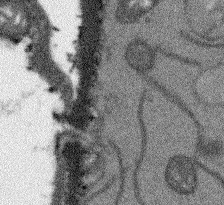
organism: Arabidopsis thaliana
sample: Root tip